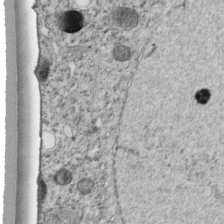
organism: C. elegans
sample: C. elegans embryo early stage